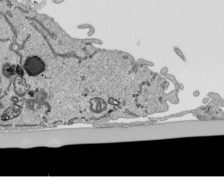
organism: Human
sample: Mitochondria in HCT116 cells